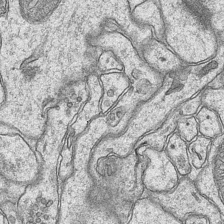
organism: Mouse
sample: CA1 Hippocampus